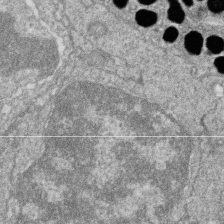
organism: Zebrafish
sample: Cilia; retinal pigment epithelium